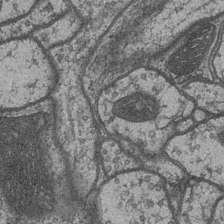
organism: Drosophila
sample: Optic medulla